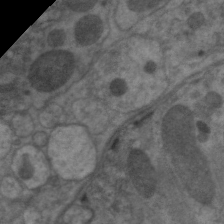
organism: C. elegans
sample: Pharynx